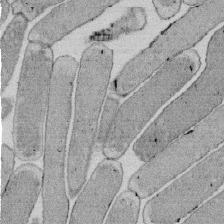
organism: E. coli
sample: Bacterial nucleoid